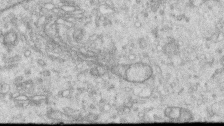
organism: Human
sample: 1205lu cells